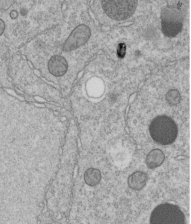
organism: C. elegans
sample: C. elegans embryo early stage